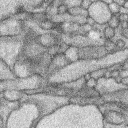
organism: Rabbit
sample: Retina